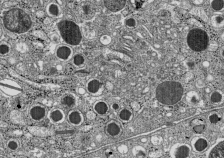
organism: C57BL Mouse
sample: Pancreatic islet